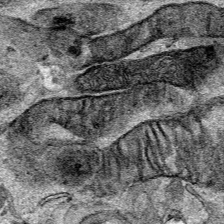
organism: Human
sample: Mitochondria in HCT116 cells